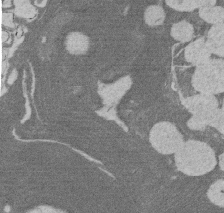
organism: Rat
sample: Salivary granule